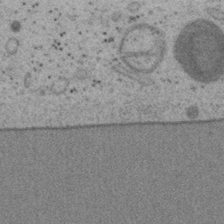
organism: Human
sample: HeLa cells